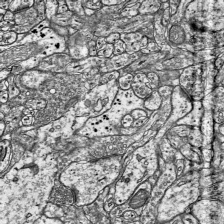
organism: Mouse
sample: Visual Cortex